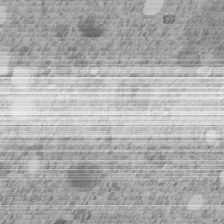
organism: C. elegans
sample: C. elegans embryo early stage